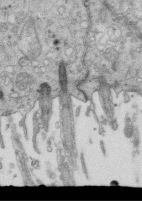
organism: Mouse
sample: Multiciliated cells